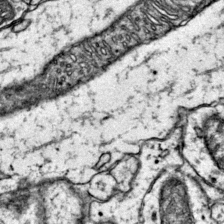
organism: Mouse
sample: Primary visual cortex